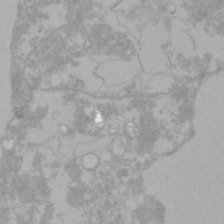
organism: Zebrafish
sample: Zebrafish embryo